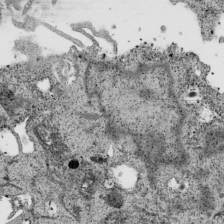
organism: Human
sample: Mitochondria in HCT116 cells